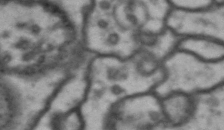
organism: Drosophila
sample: Brain